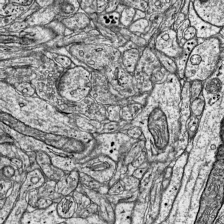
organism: Mouse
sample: Visual Cortex